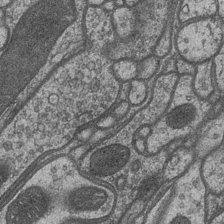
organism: Drosophila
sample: Optic medulla